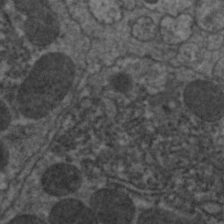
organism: C. elegans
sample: Pharynx